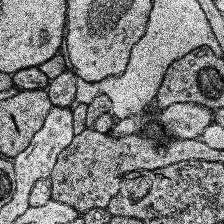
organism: Human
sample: Temporal Lobe